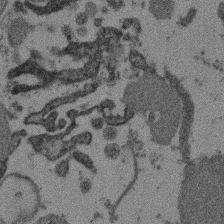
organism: Mouse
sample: Dividing mouse embryo 1 cell stage